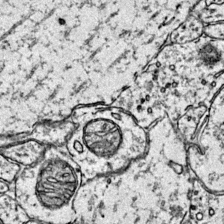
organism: Mouse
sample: Primary visual cortex